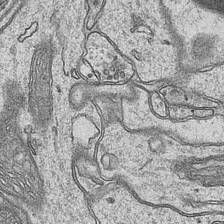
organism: Mouse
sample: CA1 Hippocampus